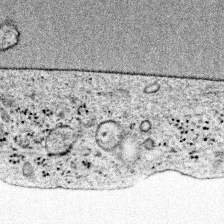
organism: Human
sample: HeLa cells